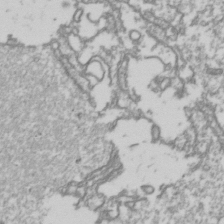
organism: Drosophila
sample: Cell division; meiosis; drosophila spermatocytes